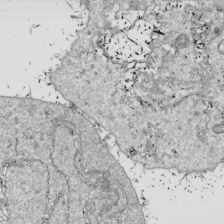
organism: Drosophila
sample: Cell division; meiosis; drosophila spermatocytes